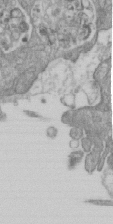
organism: Mouse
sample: ED-1 cell nuclei; centrioles